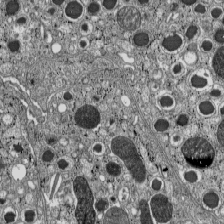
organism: C57BL Mouse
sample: Pancreatic islet